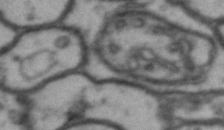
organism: Drosophila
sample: Brain